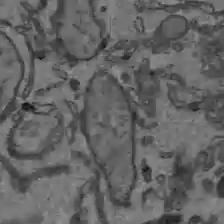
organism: C57BL Mouse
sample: Liver